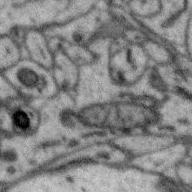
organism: Zebra finch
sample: Brain